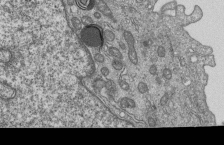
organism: Human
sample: MDA-MB-231 cells